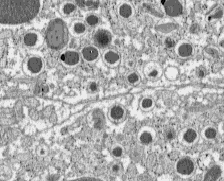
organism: C57BL Mouse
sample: Pancreatic islet